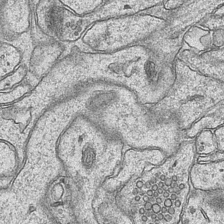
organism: Mouse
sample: CA1 Hippocampus